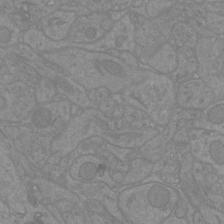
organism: Mouse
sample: Cortical neurons